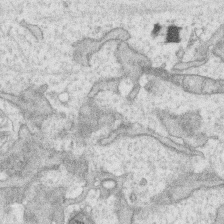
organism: Human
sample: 1205lu cells